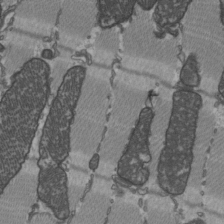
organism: C57BL Mouse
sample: Heart